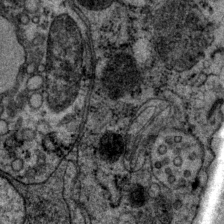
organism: P. pacificus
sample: Pharynx